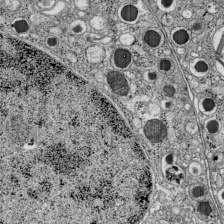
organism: C57BL Mouse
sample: Pancreatic islet